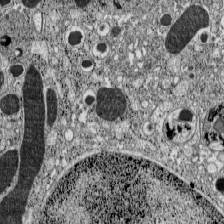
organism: C57BL Mouse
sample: Pancreatic islet